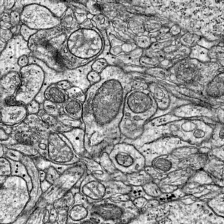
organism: Mouse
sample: Visual Cortex